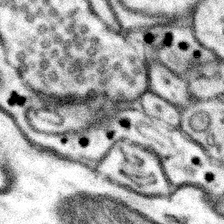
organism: Mouse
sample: Somatosensory cortex neuropil